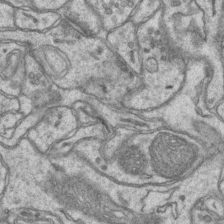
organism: Mouse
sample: CA1 Hippocampus